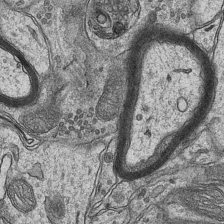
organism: Mouse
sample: CA1 Hippocampus